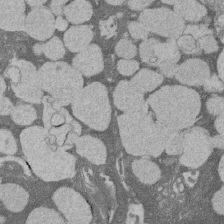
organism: Rat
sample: Salivary granule